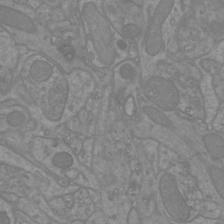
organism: Mouse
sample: Cortical neurons